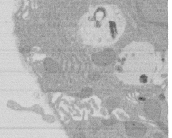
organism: Rat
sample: Salivary granule